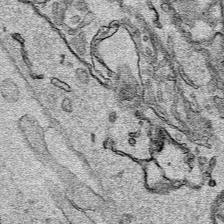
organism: Human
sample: Mitochondria in HCT116 cells